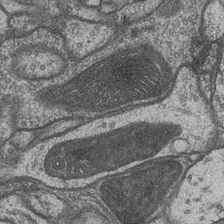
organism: Drosophila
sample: Optic medulla